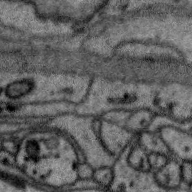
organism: Zebra finch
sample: Brain